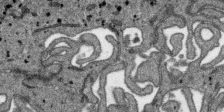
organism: Human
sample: Lung epithelial cells, uninfected (mock) control